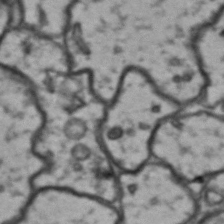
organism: Drosophila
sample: Brain